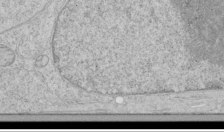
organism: Human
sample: Mitochondria in HCT116 cells